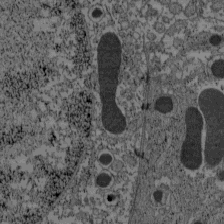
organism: C57BL Mouse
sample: Pancreatic islet